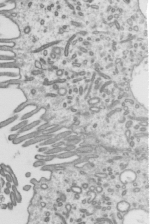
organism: Mouse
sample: Mouse epididymis efferent ductule cilia